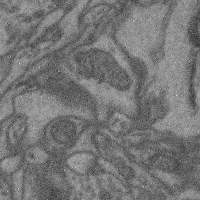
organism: Mouse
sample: Cerebral cortex